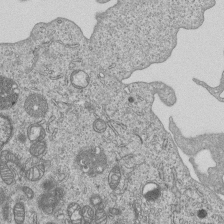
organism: Human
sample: MDA-MB-231 cells